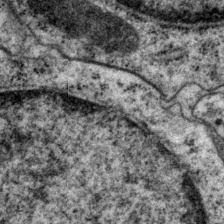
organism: P. pacificus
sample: Pharynx